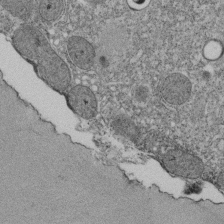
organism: Tetrahymena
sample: Cilia in tetrahymena